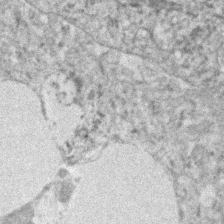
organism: Human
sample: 1205lu cells